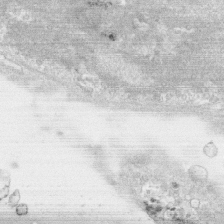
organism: Human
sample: CRL-1474